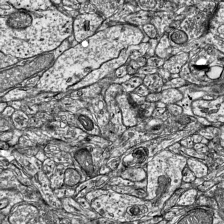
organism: Mouse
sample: Visual Cortex